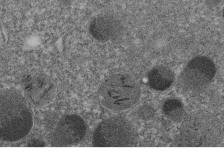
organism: C. elegans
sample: C. elegans embryo early stage